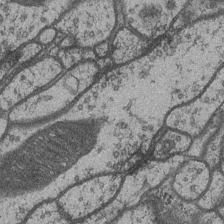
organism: Drosophila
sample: Optic medulla